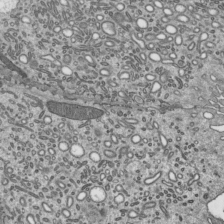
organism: Mouse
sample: Mouse epididymis efferent ductule cilia